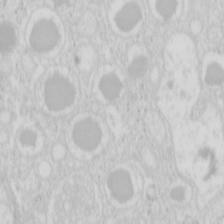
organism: Mouse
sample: Pancreas